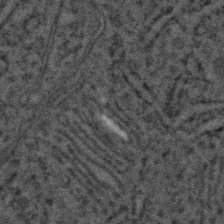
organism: C. elegans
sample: C. elegans embryo